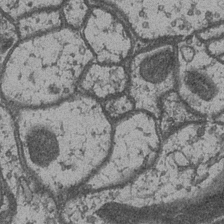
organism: Drosophila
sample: Optic medulla